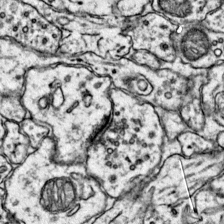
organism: Mouse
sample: Primary visual cortex